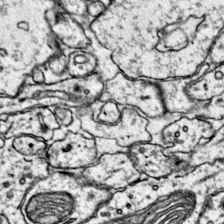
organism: Mouse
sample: Primary visual cortex